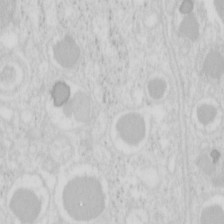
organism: Mouse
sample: Pancreas